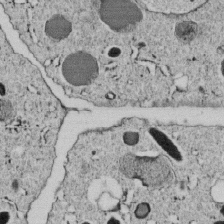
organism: C. elegans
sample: C. elegans embryo early stage